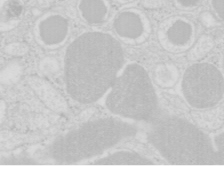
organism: Mouse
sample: Pancreas